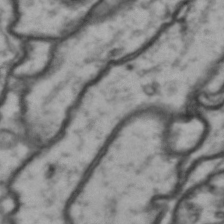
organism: Drosophila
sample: Brain